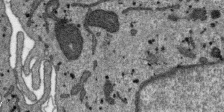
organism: Human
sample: Lung epithelial cells, uninfected (mock) control